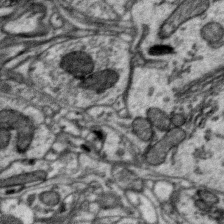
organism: Zebra finch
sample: Brain